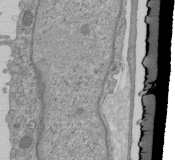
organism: Mouse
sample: ED-1 cell nuclei; centrioles